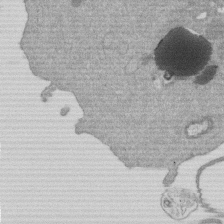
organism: Mouse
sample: Dividing mouse embryo 1 cell stage